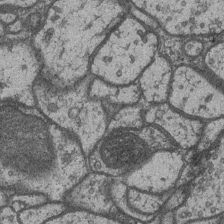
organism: Drosophila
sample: Optic medulla